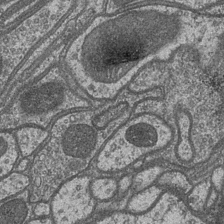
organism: Drosophila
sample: Optic medulla